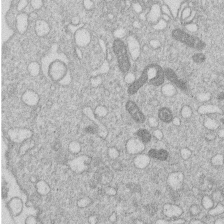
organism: Human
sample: Macrophage cells